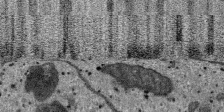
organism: Human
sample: Lung epithelial cells, uninfected (mock) control